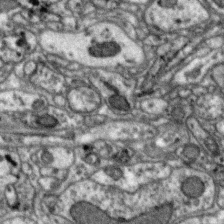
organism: Zebra finch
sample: Brain